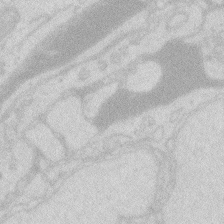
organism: Zebrafish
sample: Macrophage